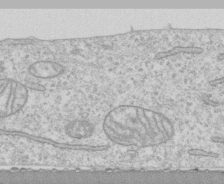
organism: Human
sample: CRL-1474